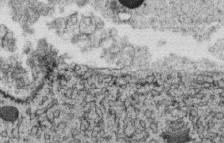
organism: C. elegans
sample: C. elegans oocyte; sperm cells